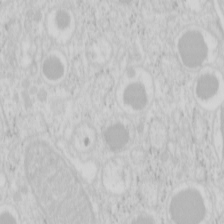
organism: Mouse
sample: Pancreas